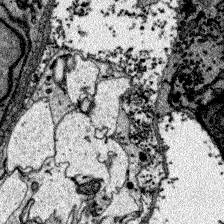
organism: Zebrafish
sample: Larval olfactory bulb